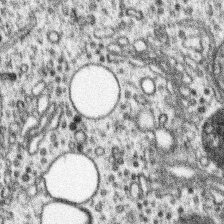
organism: Human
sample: HeLa cells